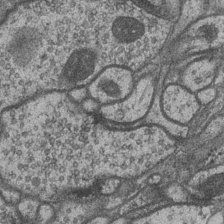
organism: Drosophila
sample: Optic medulla